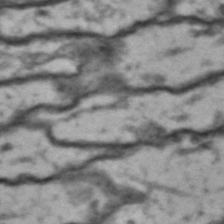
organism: Drosophila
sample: Brain